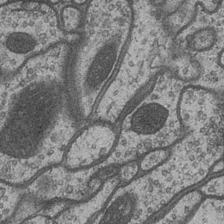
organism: Drosophila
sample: Optic medulla